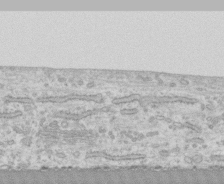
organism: Human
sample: CRL-1474